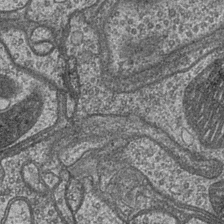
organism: Drosophila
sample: Optic medulla